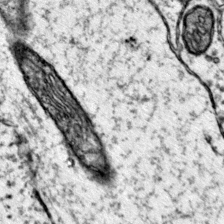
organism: Mouse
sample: Primary visual cortex